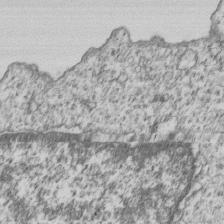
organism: Human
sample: MDA-MB-231 cells